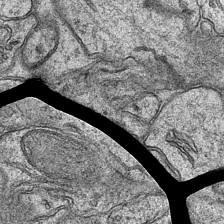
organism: Mouse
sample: CA1 Hippocampus